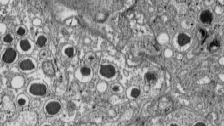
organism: C57BL Mouse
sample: Pancreatic islet